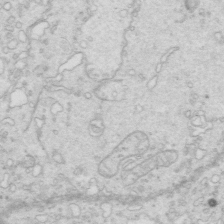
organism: Mouse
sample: Multiciliated cells